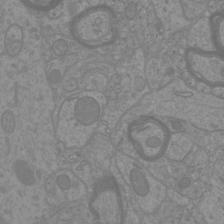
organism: Mouse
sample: Cortical neurons